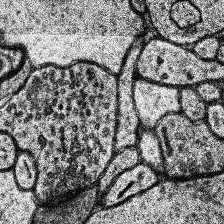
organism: Human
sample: Temporal Lobe